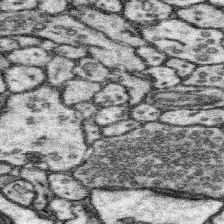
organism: Mouse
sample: Somatosensory cortex neuropil